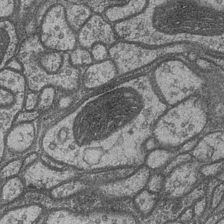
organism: Drosophila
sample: Optic medulla